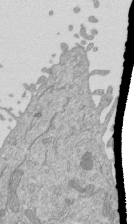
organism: Mouse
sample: ED-1 cell nuclei; centrioles